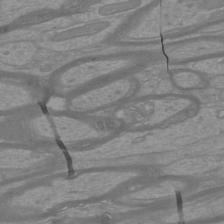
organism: Mouse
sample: Cortical neurons